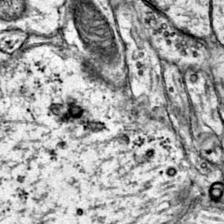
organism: Mouse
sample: Primary visual cortex